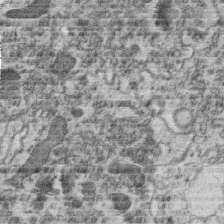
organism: C. elegans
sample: C. elegans oocyte; sperm cells